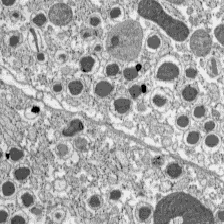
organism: C57BL Mouse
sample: Pancreatic islet